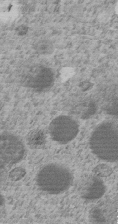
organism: C. elegans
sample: C. elegans embryo early stage